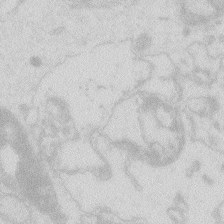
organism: Zebrafish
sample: Macrophage